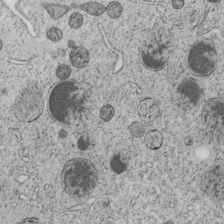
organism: C. elegans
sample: C. elegans embryo early stage